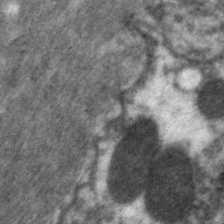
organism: C. elegans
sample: Pharynx